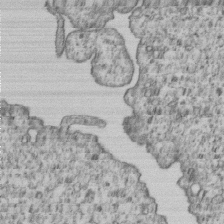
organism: Human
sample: MDA-MB-231 cells